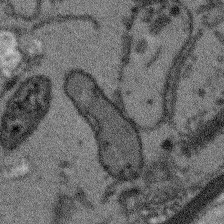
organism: Arabidopsis thaliana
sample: Root tip